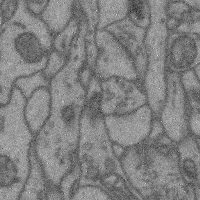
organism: Mouse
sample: Cerebral cortex